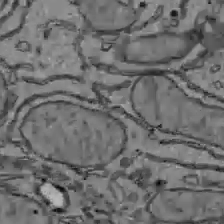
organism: C57BL Mouse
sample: Liver